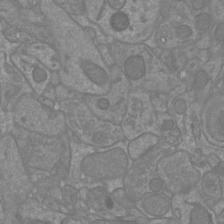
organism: Mouse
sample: Cortical neurons